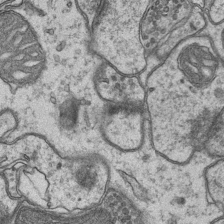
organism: Mouse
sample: CA1 Hippocampus